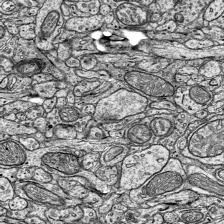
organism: Mouse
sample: Visual Cortex